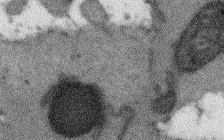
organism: Arabidopsis thaliana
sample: Root tip